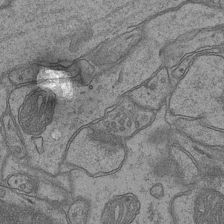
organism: Mouse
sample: CA1 Hippocampus